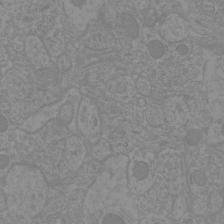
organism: Mouse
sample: Cortical neurons